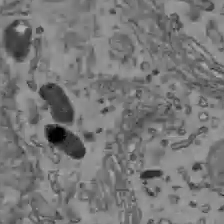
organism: C57BL Mouse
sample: Liver